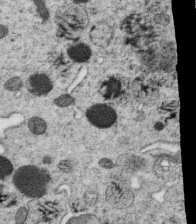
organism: C. elegans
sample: C. elegans oocyte; sperm cells